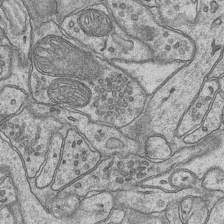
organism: Mouse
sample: CA1 Hippocampus